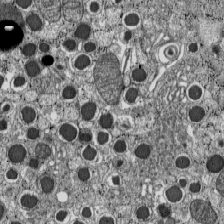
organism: C57BL Mouse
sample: Pancreatic islet